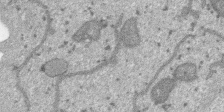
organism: Human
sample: Lung epithelial cells infected with SARS-CoV-2